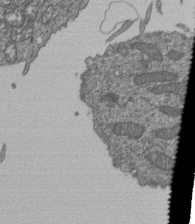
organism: Human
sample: Retinal organoid Rod and Cone cells